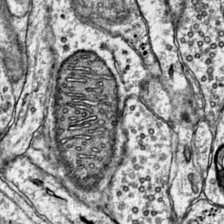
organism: Mouse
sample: Primary visual cortex